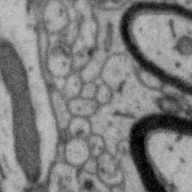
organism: Zebra finch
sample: Brain